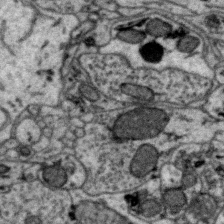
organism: Zebra finch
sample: Brain